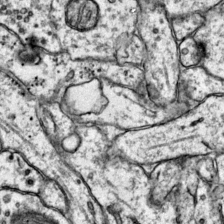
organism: Mouse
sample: Primary visual cortex